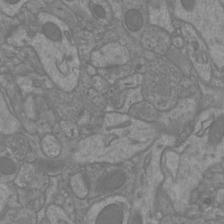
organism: Mouse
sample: Cortical neurons